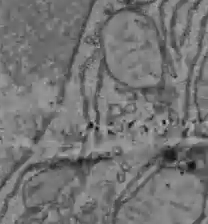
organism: C57BL Mouse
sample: Liver